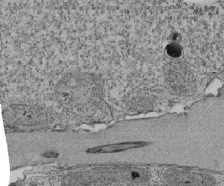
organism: Tetrahymena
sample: Cilia in tetrahymena